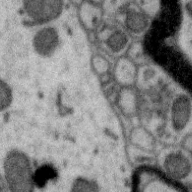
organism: Zebra finch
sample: Brain